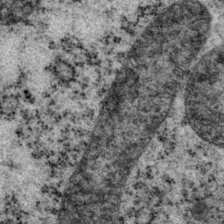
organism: P. pacificus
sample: Pharynx